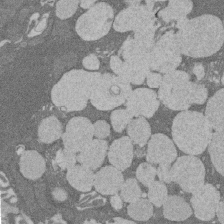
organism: Rat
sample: Salivary granule